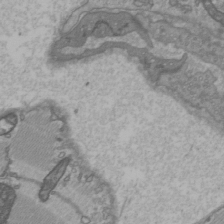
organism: C57BL Mouse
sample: Heart